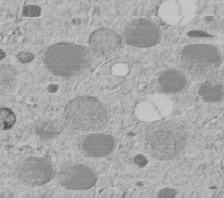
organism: C. elegans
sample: C. elegans embryo early stage